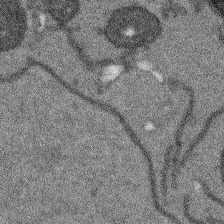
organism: Arabidopsis thaliana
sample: Root tip